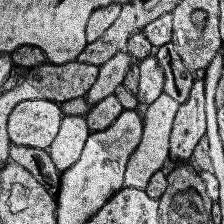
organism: Human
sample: Temporal Lobe